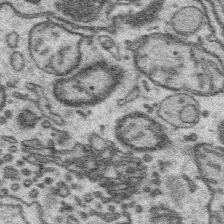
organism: Platynereis dumerilii